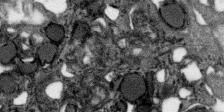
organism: Human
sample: Lung epithelial cells, uninfected (mock) control